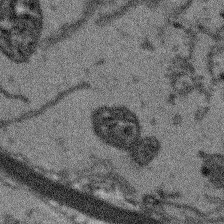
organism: Arabidopsis thaliana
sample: Root tip